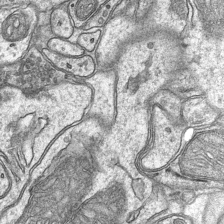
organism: Mouse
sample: CA1 Hippocampus